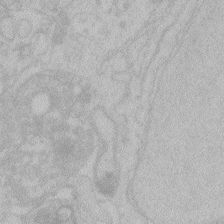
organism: Zebrafish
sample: Macrophage infected with Toxoplasma gondii